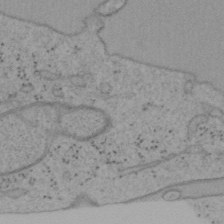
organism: Human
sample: HeLa cells